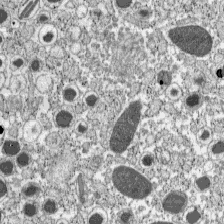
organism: C57BL Mouse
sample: Pancreatic islet